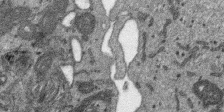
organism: Human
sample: Lung epithelial cells infected with SARS-CoV-2